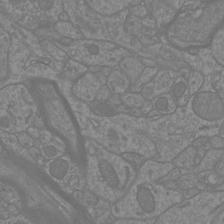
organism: Mouse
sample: Cortical neurons